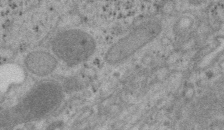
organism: Human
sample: HeLa cells